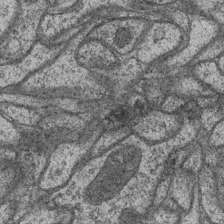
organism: Drosophila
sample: Optic medulla